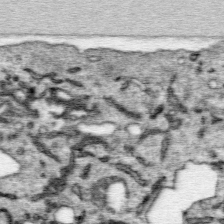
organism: Human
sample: HeLa cells